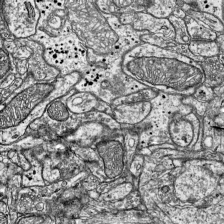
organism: Mouse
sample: Visual Cortex